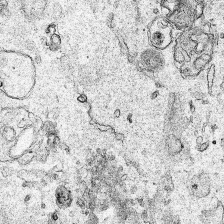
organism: Human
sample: Mitochondria in HCT116 cells